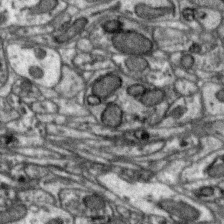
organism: Zebra finch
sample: Brain